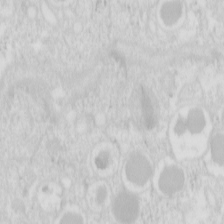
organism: Mouse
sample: Pancreas